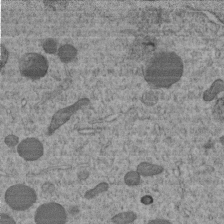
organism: C. elegans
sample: C. elegans embryo early stage